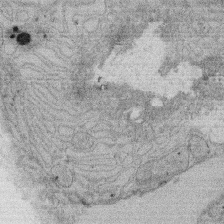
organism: Rat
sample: Salivary granule